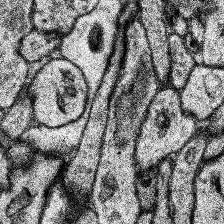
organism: Human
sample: Temporal Lobe